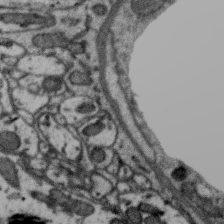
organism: Zebra finch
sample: Brain